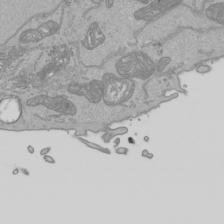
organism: Human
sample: Mitochondria in HCT116 cells